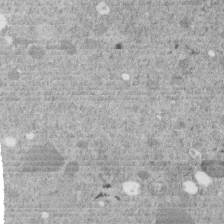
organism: C. elegans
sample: C. elegans embryo early stage